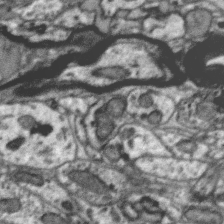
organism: Zebra finch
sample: Brain